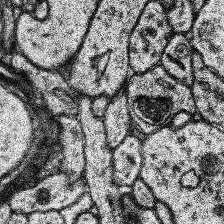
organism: Human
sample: Temporal Lobe